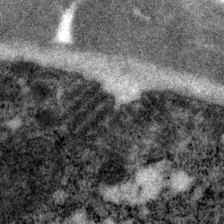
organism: P. pacificus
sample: Pharynx